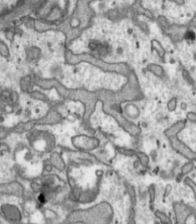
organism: Toxoplasma gondii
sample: Parasites in a vacuole inside a host cell